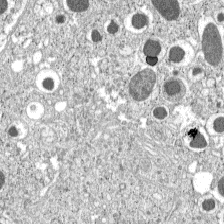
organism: C57BL Mouse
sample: Pancreatic islet